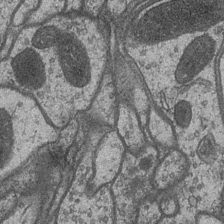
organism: Drosophila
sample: Optic medulla